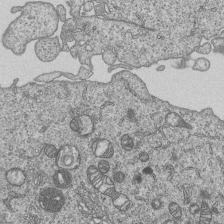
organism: Human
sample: MDA-MB-231 cells